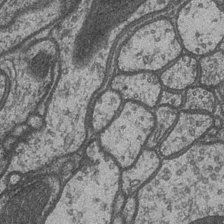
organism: Drosophila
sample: Optic medulla